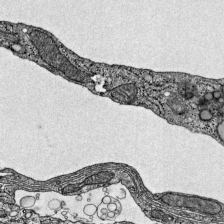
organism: Mouse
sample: Visual Cortex